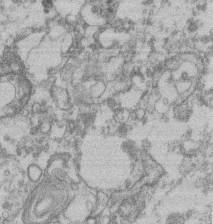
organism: Mouse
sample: T cell stromal cell synapse